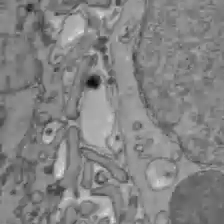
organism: C57BL Mouse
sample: Liver